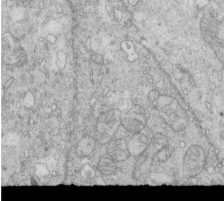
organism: Mouse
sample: Multiciliated cells